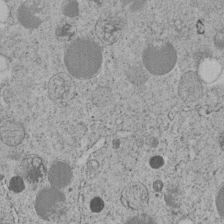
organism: C. elegans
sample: C. elegans embryo early stage